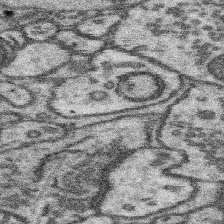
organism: Mouse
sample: Somatosensory cortex neuropil